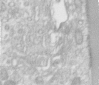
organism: Human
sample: Centriole in RPE cells